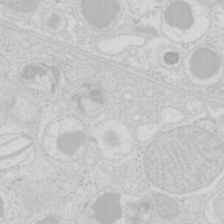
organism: Mouse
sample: Pancreas